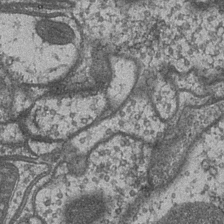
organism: Drosophila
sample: Optic medulla